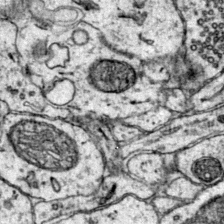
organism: Mouse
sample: Primary visual cortex